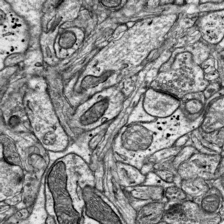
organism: Mouse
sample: Visual Cortex